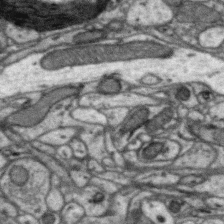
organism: Zebra finch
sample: Brain